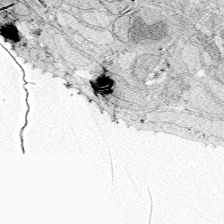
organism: Zebrafish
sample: Whole-Brain